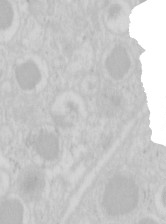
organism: Mouse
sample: Pancreas